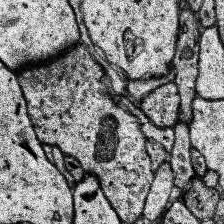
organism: Human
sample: Temporal Lobe